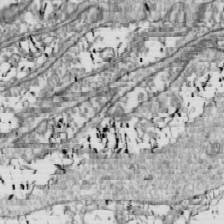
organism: Drosophila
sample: Cell division; meiosis; drosophila spermatocytes